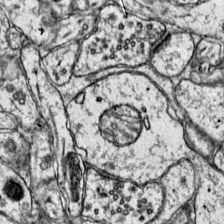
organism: Mouse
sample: Primary visual cortex